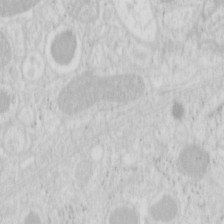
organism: Mouse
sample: Pancreas